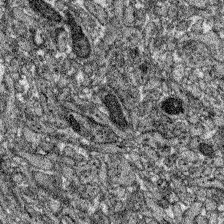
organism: Zebrafish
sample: Larval olfactory bulb